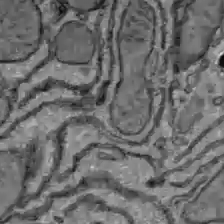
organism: C57BL Mouse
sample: Liver